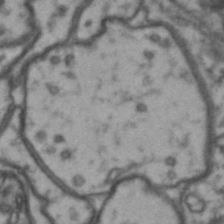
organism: Drosophila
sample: Brain